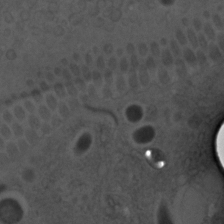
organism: C. elegans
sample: C. elegans embryo